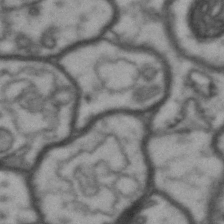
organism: Drosophila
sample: Brain